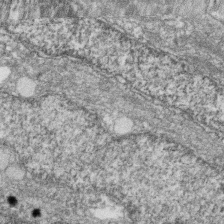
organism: Zebrafish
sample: Cilia; retinal pigment epithelium